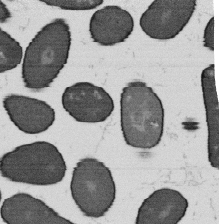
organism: B. subtilis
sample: Bacterial spore